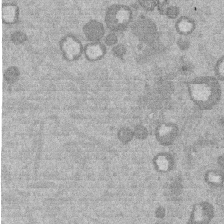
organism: Mouse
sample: Dividing mouse embryo 1 cell stage